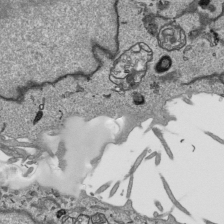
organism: Human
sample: Mitochondria in HCT116 cells